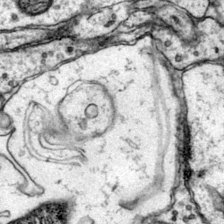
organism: Mouse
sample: Primary visual cortex